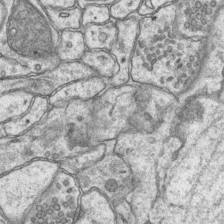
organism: Mouse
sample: CA1 Hippocampus